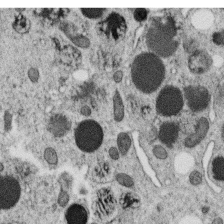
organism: C. elegans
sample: C. elegans oocyte; sperm cells